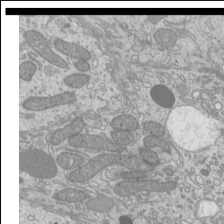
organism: Mouse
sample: Cilia; mouse epididymis